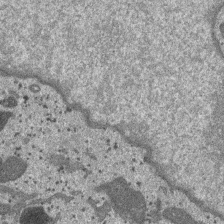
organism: Human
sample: Lung epithelial cells infected with SARS-CoV-2